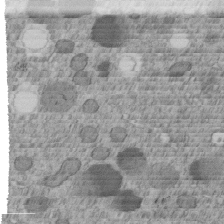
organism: C. elegans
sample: C. elegans embryo early stage